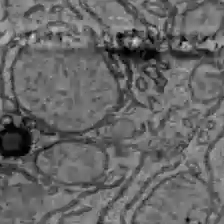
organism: C57BL Mouse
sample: Liver